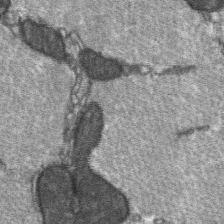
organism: C57BL Mouse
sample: Soleus